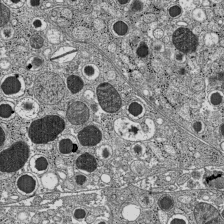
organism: C57BL Mouse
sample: Pancreatic islet